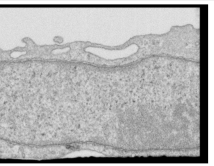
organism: Human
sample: Centriole in RPE cells